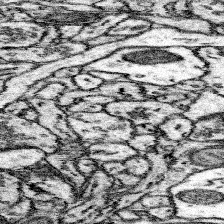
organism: Mouse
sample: Somatosensory cortex neuropil